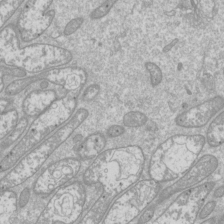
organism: Drosophila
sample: Cell division; meiosis; drosophila spermatocytes